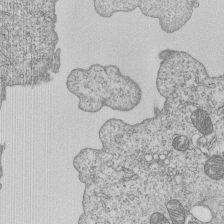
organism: Human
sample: MDA-MB-231 cells